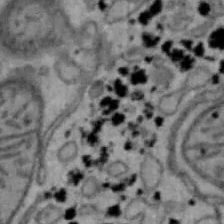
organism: Mouse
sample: Liver